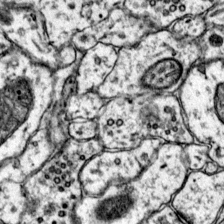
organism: Mouse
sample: Primary visual cortex